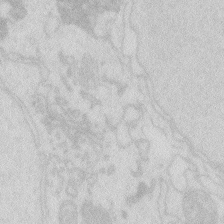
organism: Zebrafish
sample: Macrophage